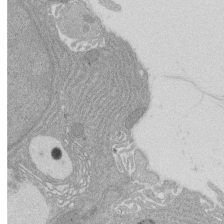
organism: Rat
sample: Salivary granule